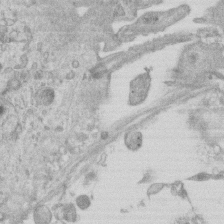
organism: Mouse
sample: Centriole in ependymal cells